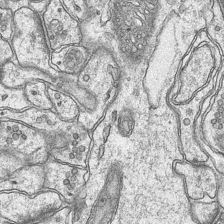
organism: Mouse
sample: CA1 Hippocampus